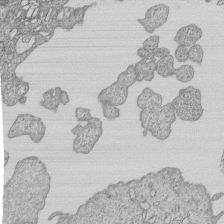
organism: Human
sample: MDA-MB-231 cells